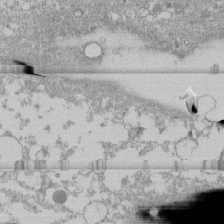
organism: Human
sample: CRL-1474